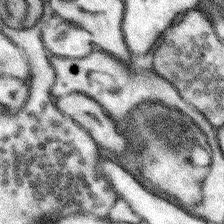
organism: Mouse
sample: Somatosensory cortex neuropil